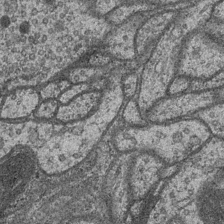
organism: Drosophila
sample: Optic medulla